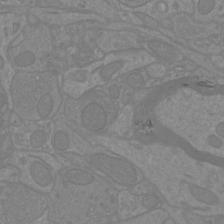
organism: Mouse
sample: Cortical neurons